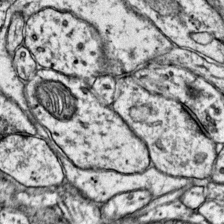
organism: Mouse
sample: Primary visual cortex